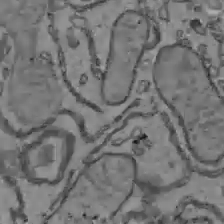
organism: C57BL Mouse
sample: Liver